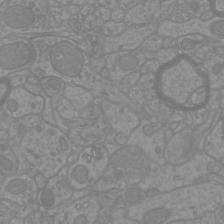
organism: Mouse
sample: Cortical neurons